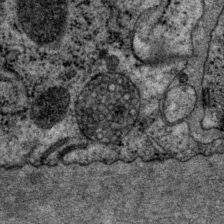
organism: P. pacificus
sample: Pharynx